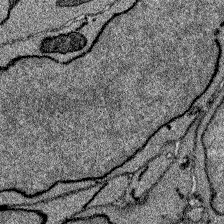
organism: Zebrafish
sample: Larval olfactory bulb